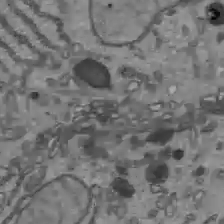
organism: C57BL Mouse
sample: Liver